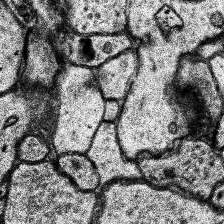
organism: Human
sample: Temporal Lobe